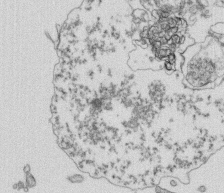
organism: Human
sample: HeLa cell HIV synapse